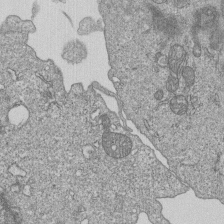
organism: Human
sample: MDA-MB-231 cells